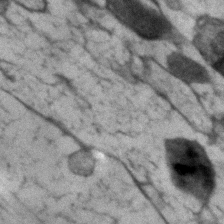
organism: Human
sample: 1205lu cells